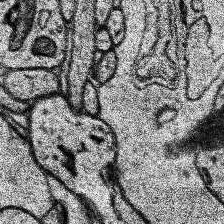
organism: Human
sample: Temporal Lobe